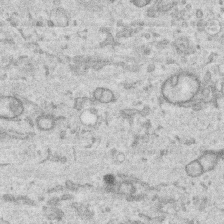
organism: Human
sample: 1205lu cells